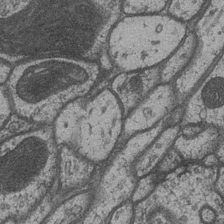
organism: Drosophila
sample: Optic medulla